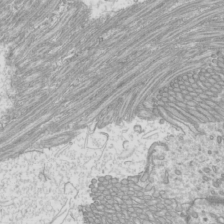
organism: Mouse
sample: Cilia; mouse epididymis